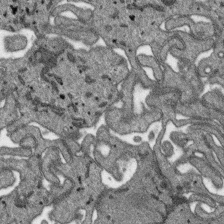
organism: Human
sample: Lung epithelial cells, uninfected (mock) control